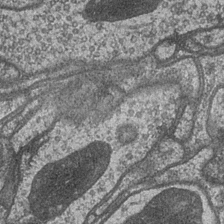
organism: Drosophila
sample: Optic medulla